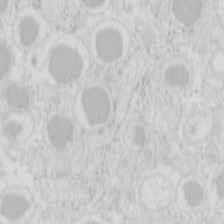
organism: Mouse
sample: Pancreas